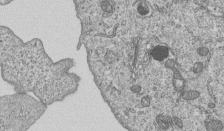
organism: Human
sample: MDA-MB-231 cells